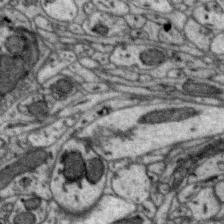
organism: Zebra finch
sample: Brain